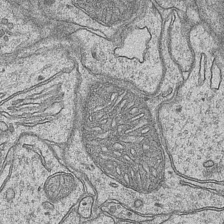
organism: Mouse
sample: CA1 Hippocampus